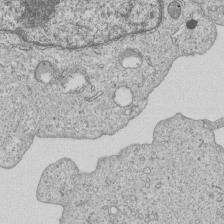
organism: Human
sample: MDA-MB-231 cells